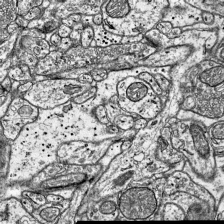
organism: Mouse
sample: Visual Cortex